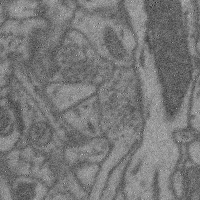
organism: Mouse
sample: Cerebral cortex